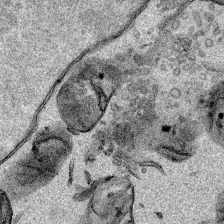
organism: Human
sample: Mitochondria in HCT116 cells